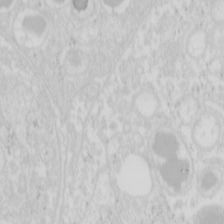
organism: Mouse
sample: Pancreas